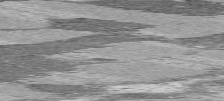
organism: C57BL Mouse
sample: Heart